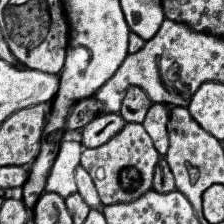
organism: Human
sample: Temporal Lobe